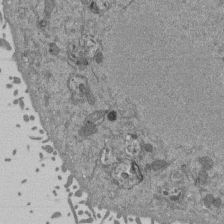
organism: Mouse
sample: ED-1 cell nuclei; centrioles